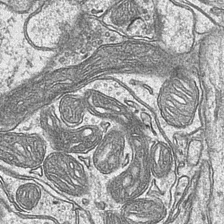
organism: Mouse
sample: CA1 Hippocampus